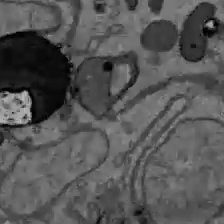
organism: C57BL Mouse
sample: Liver